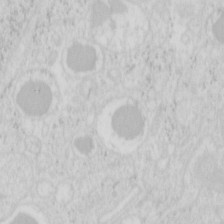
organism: Mouse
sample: Pancreas